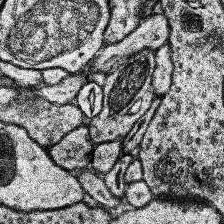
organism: Human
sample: Temporal Lobe